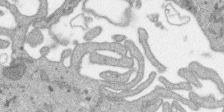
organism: Human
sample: Lung epithelial cells infected with SARS-CoV-2